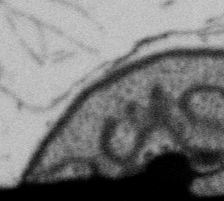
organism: Gemmata obscuriglobus